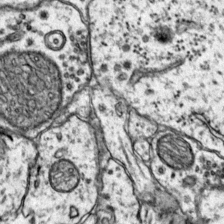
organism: Mouse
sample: Primary visual cortex